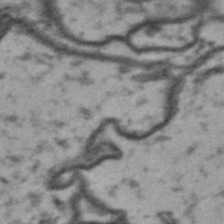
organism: Drosophila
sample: Brain